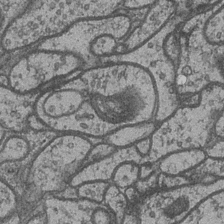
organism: Drosophila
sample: Optic medulla